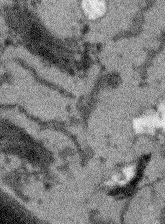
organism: Arabidopsis thaliana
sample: Root tip